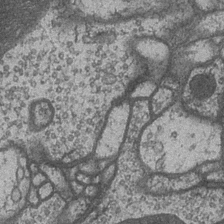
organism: Drosophila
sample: Optic medulla